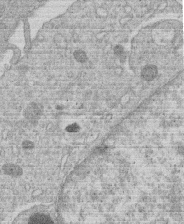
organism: Human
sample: Macrophage cells